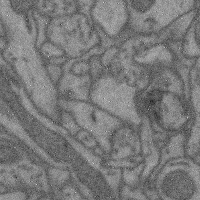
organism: Mouse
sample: Cerebral cortex